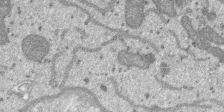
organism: Human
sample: Lung epithelial cells infected with SARS-CoV-2